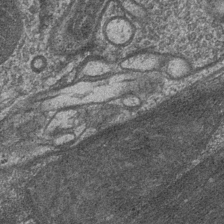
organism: Drosophila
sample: Optic medulla